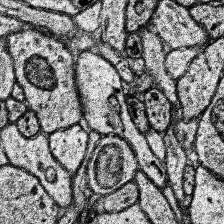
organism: Human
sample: Temporal Lobe